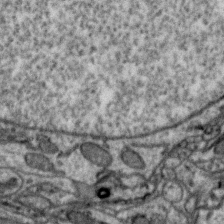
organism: Zebra finch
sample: Brain